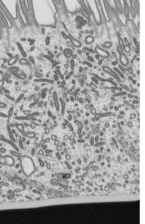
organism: Mouse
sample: Mouse epididymis efferent ductule cilia